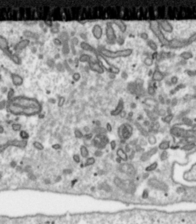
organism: Toxoplasma gondii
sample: Parasites in a vacuole inside a host cell